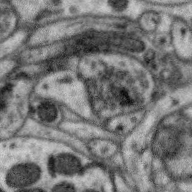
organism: Zebra finch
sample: Brain